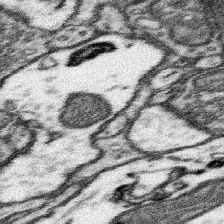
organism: Mouse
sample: Somatosensory cortex neuropil